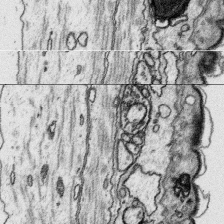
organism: Platynereis dumerilii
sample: Parapodia